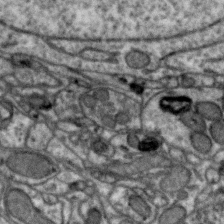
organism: Zebra finch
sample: Brain